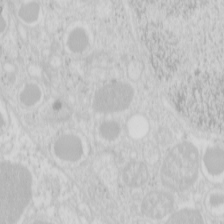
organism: Mouse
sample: Pancreas